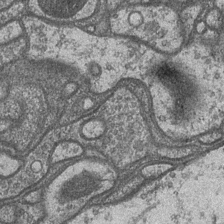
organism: Drosophila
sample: Optic medulla